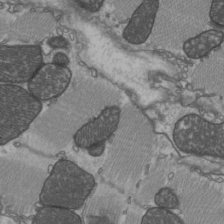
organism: C57BL Mouse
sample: Heart